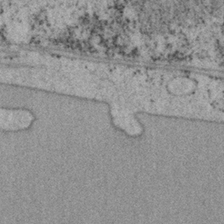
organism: Human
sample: HeLa cells